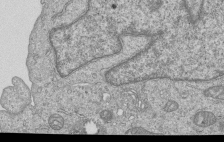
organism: Human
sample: MDA-MB-231 cells